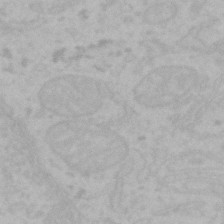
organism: Mouse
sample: Choroid plexus